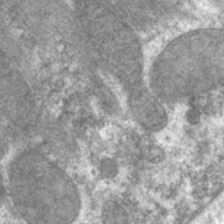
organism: C. elegans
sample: Pharynx